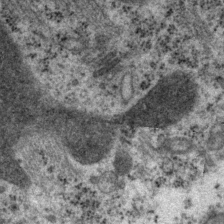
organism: P. pacificus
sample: Pharynx